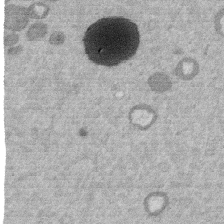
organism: Mouse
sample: Dividing mouse embryo 1 cell stage